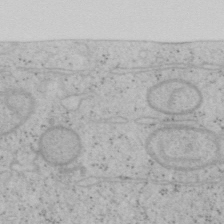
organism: Human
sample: HeLa cells